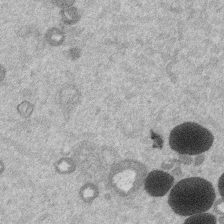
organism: Mouse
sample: Dividing mouse embryo 1 cell stage